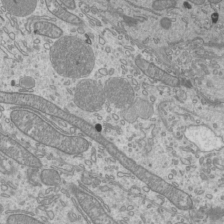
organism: Mouse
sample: Cilia; mouse epididymis